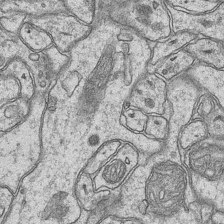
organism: Mouse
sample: CA1 Hippocampus